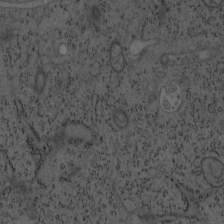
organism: Mouse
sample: OT-I killer T cells with ID8 ovarian cancer cells